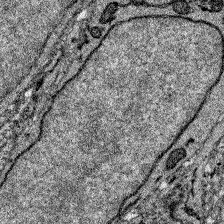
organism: Zebrafish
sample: Larval olfactory bulb